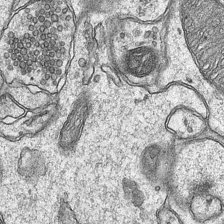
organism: Mouse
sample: CA1 Hippocampus